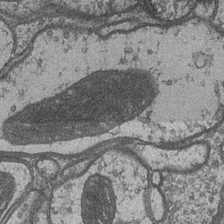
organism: Drosophila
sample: Optic medulla